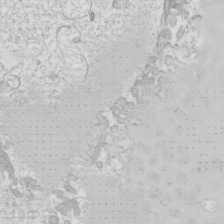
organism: Mouse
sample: Cilia; mouse epididymis